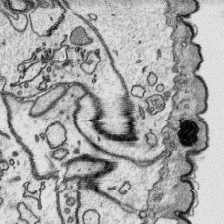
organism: Platynereis dumerilii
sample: Parapodia